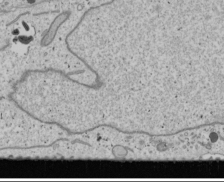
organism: Human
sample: Mitochondria in U2OS cells